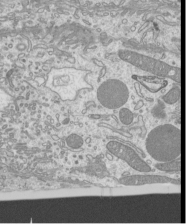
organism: Mouse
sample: Cilia; mouse epididymis